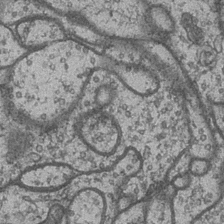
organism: Drosophila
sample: Optic medulla